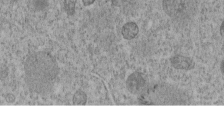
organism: C. elegans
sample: C. elegans embryo early stage